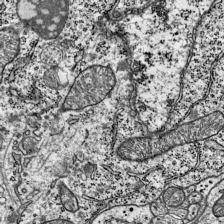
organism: Mouse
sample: Visual Cortex